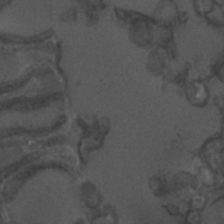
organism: C. elegans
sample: C. elegans embryo